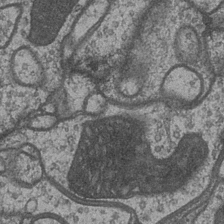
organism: Drosophila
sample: Optic medulla